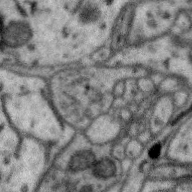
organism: Zebra finch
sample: Brain